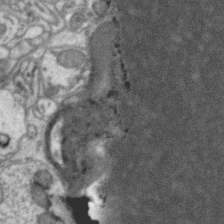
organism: Zebra finch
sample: Brain